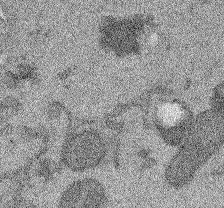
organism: Human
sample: HeLa cells